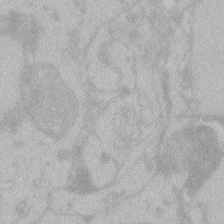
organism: Zebrafish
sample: Macrophage infected with Toxoplasma gondii